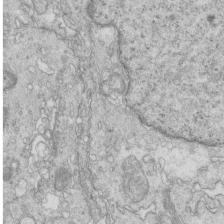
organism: Mouse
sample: Multiciliated cells